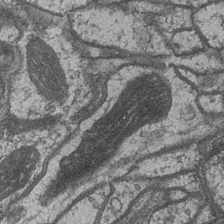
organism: Drosophila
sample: Optic medulla